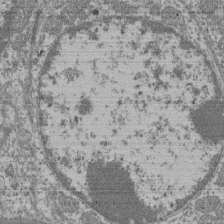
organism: Mouse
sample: Glomerulus